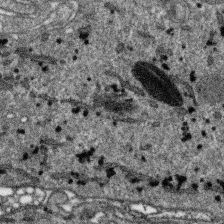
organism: Human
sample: Lung epithelial cells infected with SARS-CoV-2